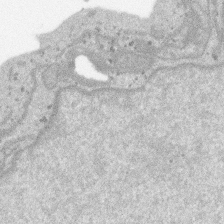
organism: Human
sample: Lung epithelial cells infected with SARS-CoV-2